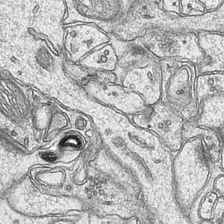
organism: Mouse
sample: CA1 Hippocampus